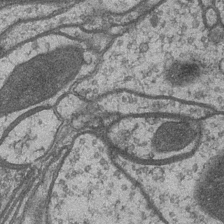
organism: Drosophila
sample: Optic medulla